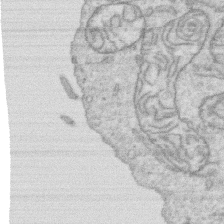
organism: Human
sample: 1205lu cells